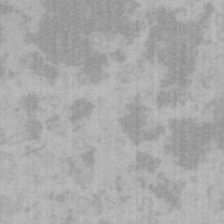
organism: Mouse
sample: Choroid plexus